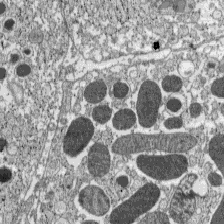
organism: C57BL Mouse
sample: Pancreatic islet